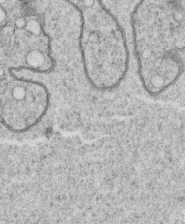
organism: C. elegans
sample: C. elegans oocyte; sperm cells